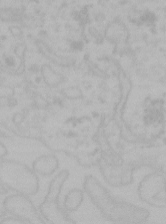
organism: Mouse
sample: Choroid plexus